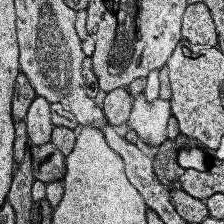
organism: Human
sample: Temporal Lobe